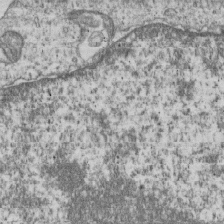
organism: Human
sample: MDA-MB-231 cells